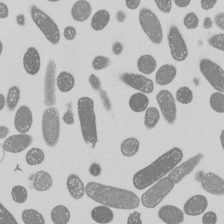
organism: E. coli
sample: Bacterial nucleoid